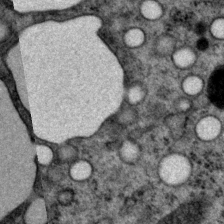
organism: P. pacificus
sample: Pharynx